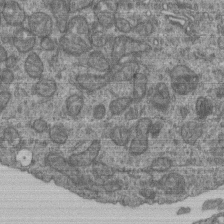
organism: Human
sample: Retinal organoid Rod and Cone cells